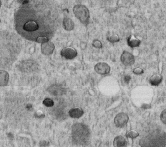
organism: C. elegans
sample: C. elegans embryo early stage